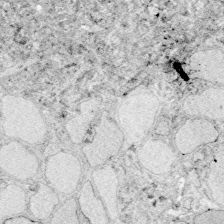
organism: Zebrafish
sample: Whole-Brain